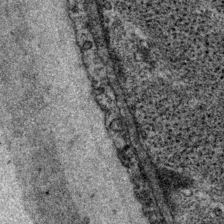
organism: P. pacificus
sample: Pharynx